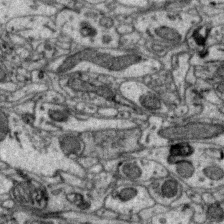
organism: Zebra finch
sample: Brain